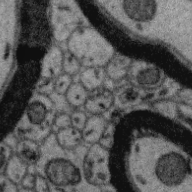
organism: Zebra finch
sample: Brain